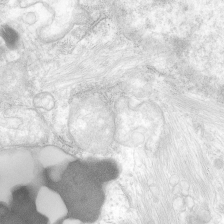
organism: Human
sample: Neocortex